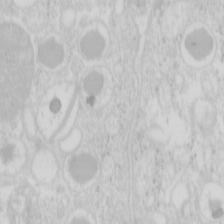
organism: Mouse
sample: Pancreas